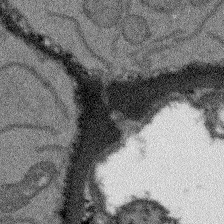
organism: Arabidopsis thaliana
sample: Root tip